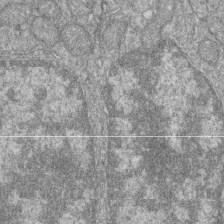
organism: Zebrafish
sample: Cilia; retinal pigment epithelium